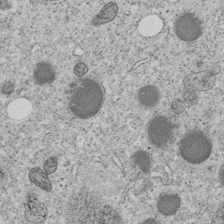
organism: C. elegans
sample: C. elegans embryo early stage